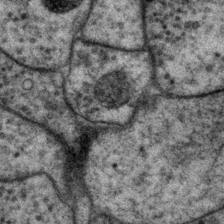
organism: P. pacificus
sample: Pharynx